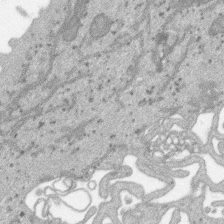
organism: Human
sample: Lung epithelial cells infected with SARS-CoV-2